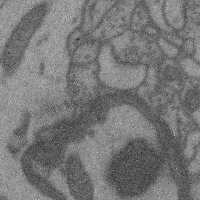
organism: Mouse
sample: Cerebral cortex